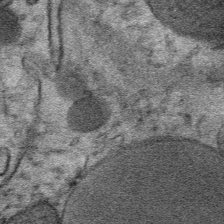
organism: Mouse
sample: Mouse Salivary gland